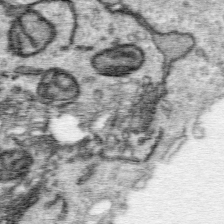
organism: Human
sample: HeLa cells